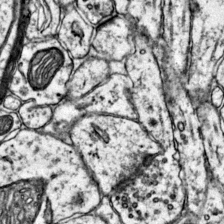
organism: Mouse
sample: Primary visual cortex